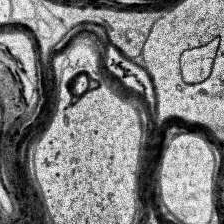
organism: Human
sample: Temporal Lobe